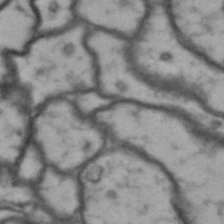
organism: Drosophila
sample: Brain